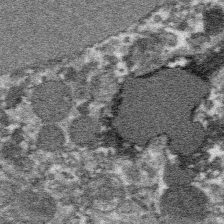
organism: Platynereis dumerilii